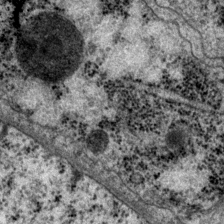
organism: P. pacificus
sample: Pharynx